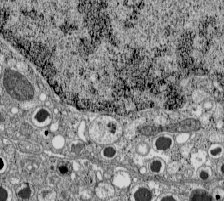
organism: C57BL Mouse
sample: Pancreatic islet